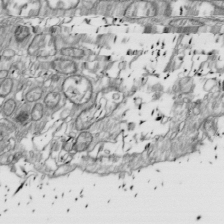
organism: Drosophila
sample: Cell division; meiosis; drosophila spermatocytes